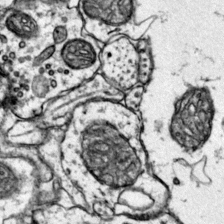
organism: Mouse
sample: Primary visual cortex